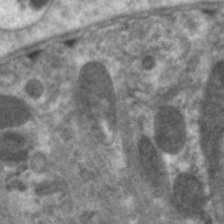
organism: C. elegans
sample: Pharynx